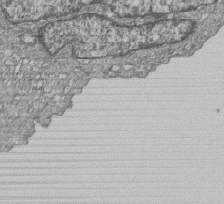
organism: Human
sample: MDA-MB-231 cells